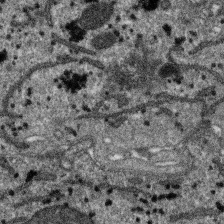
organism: Human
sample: Lung epithelial cells infected with SARS-CoV-2